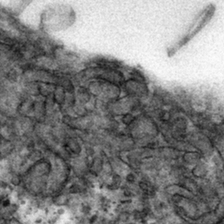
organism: Mouse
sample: Mouse hepatocytes